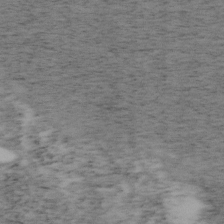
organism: Mouse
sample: OT-I killer T cells with ID8 ovarian cancer cells